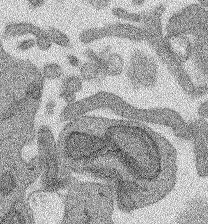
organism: Human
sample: HeLa cells